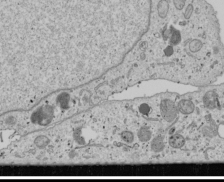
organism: Human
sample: Mitochondria in U2OS cells